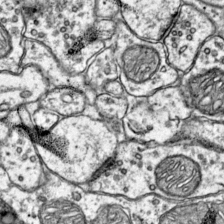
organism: Mouse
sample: Primary visual cortex